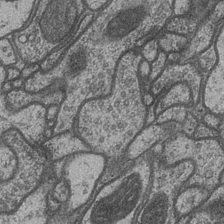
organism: Drosophila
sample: Optic medulla